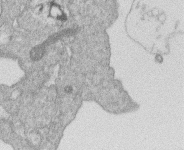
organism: Human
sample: Macrophage cells